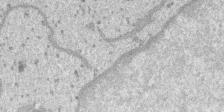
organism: Human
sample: Lung epithelial cells infected with SARS-CoV-2